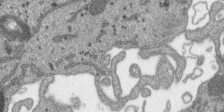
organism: Human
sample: Lung epithelial cells infected with SARS-CoV-2